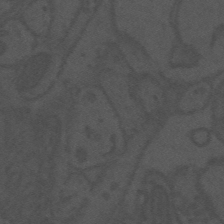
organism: Mouse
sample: Suprachiasmatic nucleus